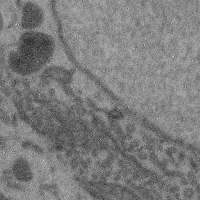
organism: Mouse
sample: Cerebral cortex